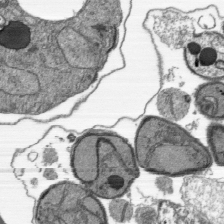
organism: Plasmodium falciparum